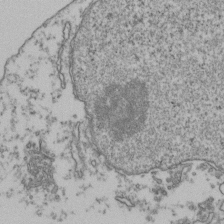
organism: Human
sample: Activated Jurkat CD4+ T cells